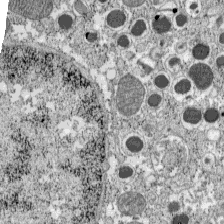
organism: C57BL Mouse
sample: Pancreatic islet